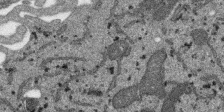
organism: Human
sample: Lung epithelial cells infected with SARS-CoV-2